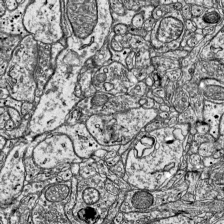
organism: Mouse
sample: Visual Cortex